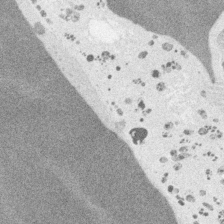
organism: Embia sp.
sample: Silk gland